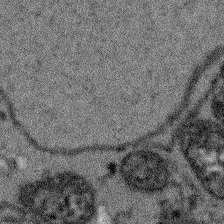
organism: Arabidopsis thaliana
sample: Root tip